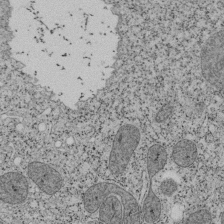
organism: Tetrahymena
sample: Cilia in tetrahymena